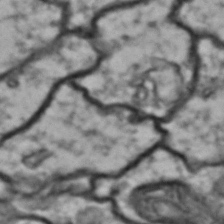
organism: Drosophila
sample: Brain